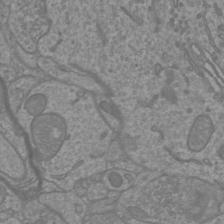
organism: Mouse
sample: Cortical neurons